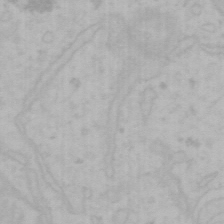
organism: Mouse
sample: Choroid plexus